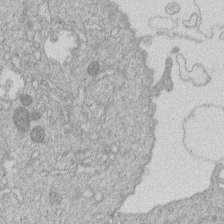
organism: Human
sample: Macrophage cells